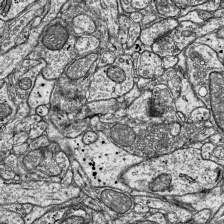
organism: Mouse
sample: Visual Cortex